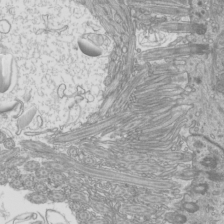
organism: Mouse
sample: Cilia; mouse epididymis